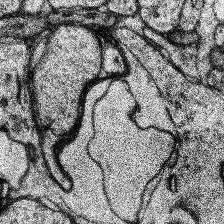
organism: Human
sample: Temporal Lobe